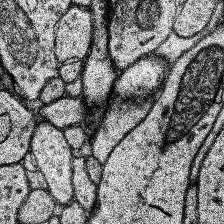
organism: Human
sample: Temporal Lobe